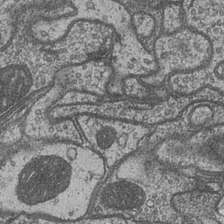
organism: Drosophila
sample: Optic medulla